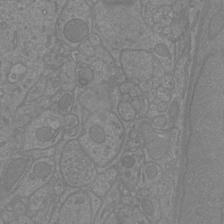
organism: Mouse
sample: Cortical neurons